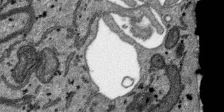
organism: Human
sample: Lung epithelial cells, uninfected (mock) control